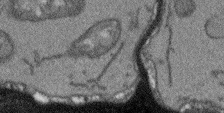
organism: Arabidopsis thaliana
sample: Root tip